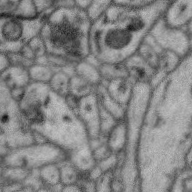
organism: Zebra finch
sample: Brain